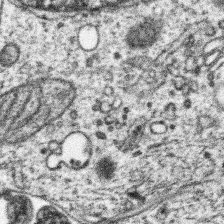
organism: Human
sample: HeLa cells